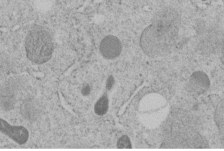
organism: C. elegans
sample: C. elegans embryo early stage